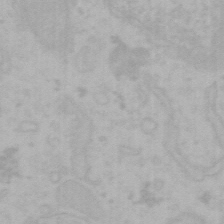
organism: Mouse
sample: Choroid plexus